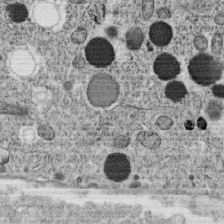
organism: C. elegans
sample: C. elegans oocyte; sperm cells